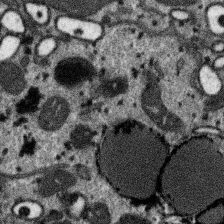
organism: Human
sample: Lung epithelial cells infected with SARS-CoV-2